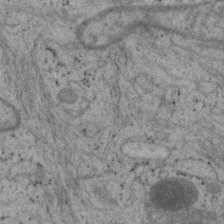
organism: Human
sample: HeLa cells